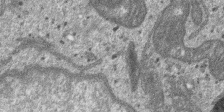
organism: Human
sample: Lung epithelial cells infected with SARS-CoV-2